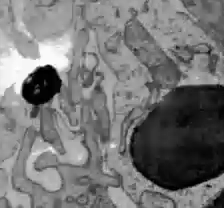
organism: C57BL Mouse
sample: Liver